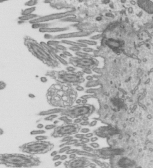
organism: Mouse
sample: Mouse epididymis efferent ductule cilia